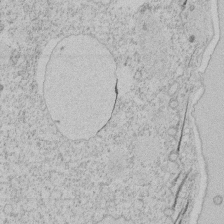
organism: Tetrahymena